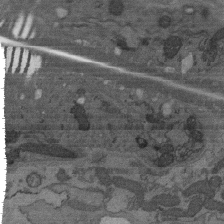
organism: C. elegans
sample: AFD neurons C. elegans